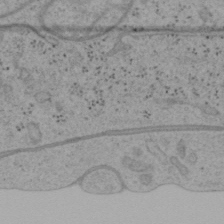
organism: Human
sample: HeLa cells